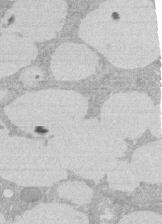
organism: Rat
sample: Salivary granule